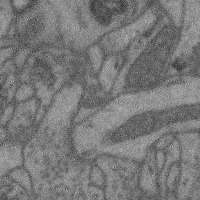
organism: Mouse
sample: Cerebral cortex